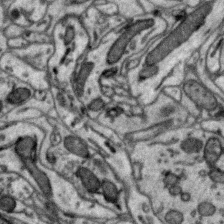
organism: Zebra finch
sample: Brain